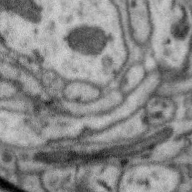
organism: Zebra finch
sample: Brain